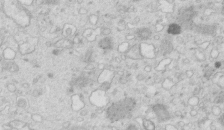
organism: Mouse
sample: Multiciliated cells